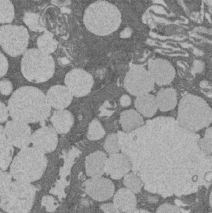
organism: Rat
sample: Salivary granule